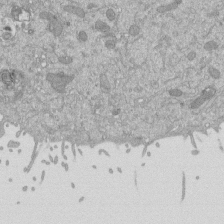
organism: Mouse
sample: ED-1 cell nuclei; centrioles